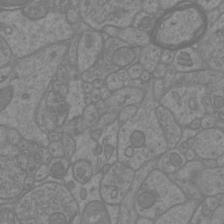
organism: Mouse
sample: Cortical neurons